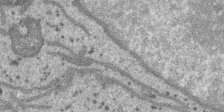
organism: Human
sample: Lung epithelial cells infected with SARS-CoV-2